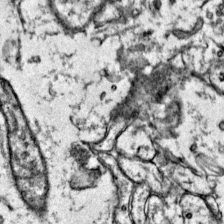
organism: Mouse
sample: Primary visual cortex